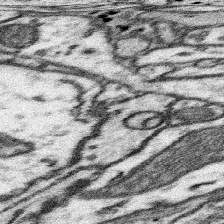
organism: Mouse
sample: Somatosensory cortex neuropil